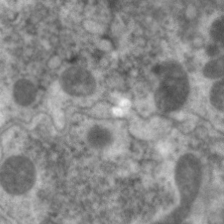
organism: C. elegans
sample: Pharynx